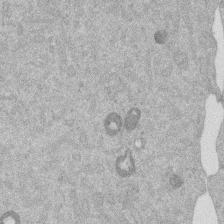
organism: Mouse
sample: Dividing mouse embryo 1 cell stage